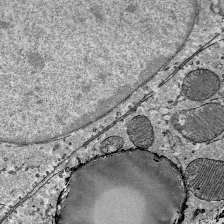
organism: Mouse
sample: Mouse Salivary gland